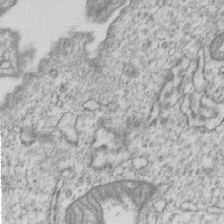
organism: Human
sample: MDA-MB-231 cells